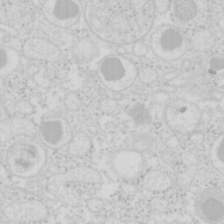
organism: Mouse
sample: Pancreas